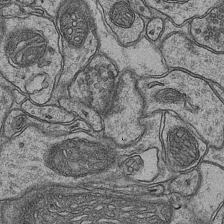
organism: Mouse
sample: CA1 Hippocampus